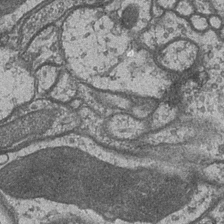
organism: Drosophila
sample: Optic medulla